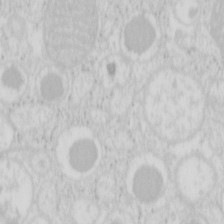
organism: Mouse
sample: Pancreas